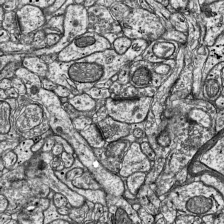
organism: Mouse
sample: Visual Cortex